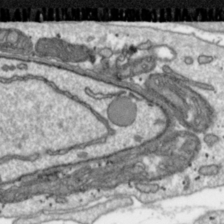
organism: Toxoplasma gondii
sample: Parasites in a vacuole inside a host cell